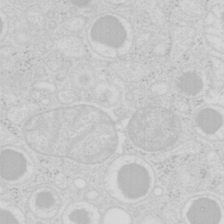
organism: Mouse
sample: Pancreas